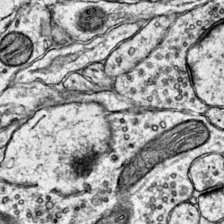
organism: Mouse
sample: Primary visual cortex